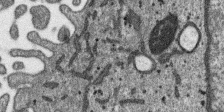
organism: Human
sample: Lung epithelial cells infected with SARS-CoV-2